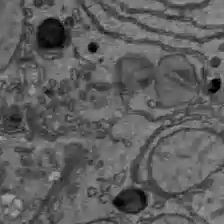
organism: C57BL Mouse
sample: Liver